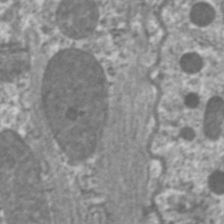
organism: C. elegans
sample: Pharynx